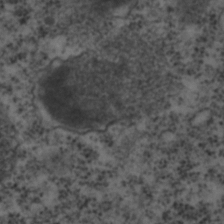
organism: C. elegans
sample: C. elegans embryo